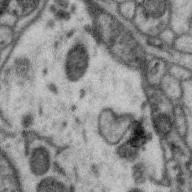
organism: Zebra finch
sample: Brain